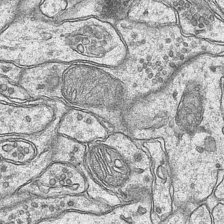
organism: Mouse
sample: CA1 Hippocampus